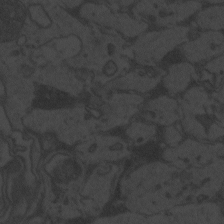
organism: Zebrafish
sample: Macrophage infected with Toxoplasma gondii